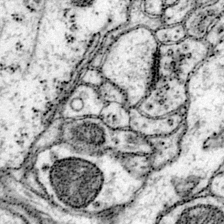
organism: Mouse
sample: Primary visual cortex